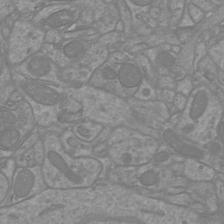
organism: Mouse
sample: Cortical neurons